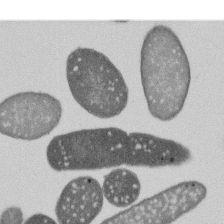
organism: E. coli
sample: Bacterial nucleoid